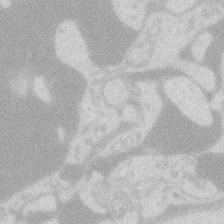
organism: Zebrafish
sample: Macrophage